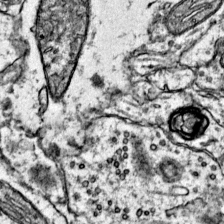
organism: Mouse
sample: Primary visual cortex